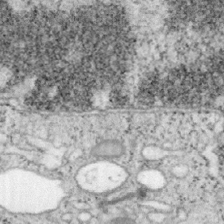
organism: Mouse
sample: OT-I killer T cells with ID8 ovarian cancer cells